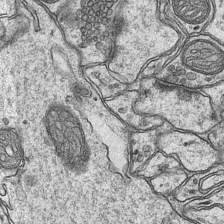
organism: Mouse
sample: CA1 Hippocampus